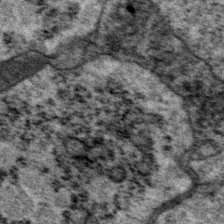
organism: P. pacificus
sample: Pharynx